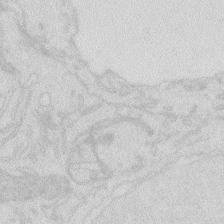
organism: Zebrafish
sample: Macrophage